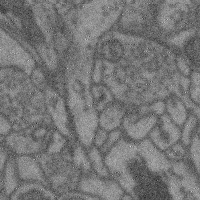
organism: Mouse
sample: Cerebral cortex